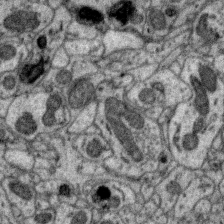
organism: Zebra finch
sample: Brain